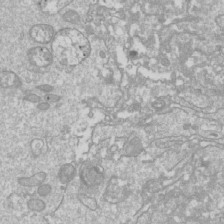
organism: Drosophila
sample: Cell division; meiosis; drosophila spermatocytes